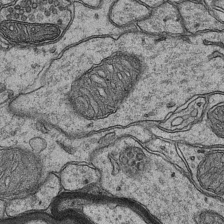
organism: Mouse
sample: CA1 Hippocampus